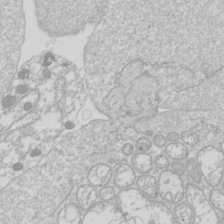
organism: Drosophila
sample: Cell division; meiosis; drosophila spermatocytes